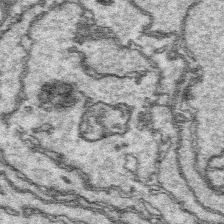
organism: Platynereis dumerilii